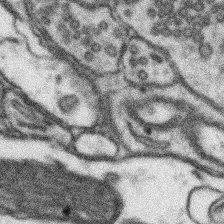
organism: Mouse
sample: Somatosensory cortex neuropil